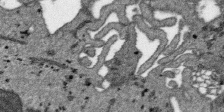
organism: Human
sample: Lung epithelial cells, uninfected (mock) control